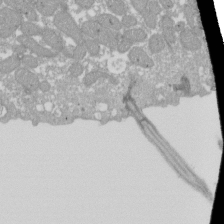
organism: Xenopus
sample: Cilia; centrioles in frog embryo cells